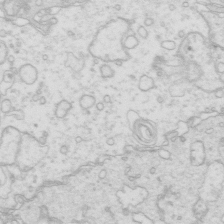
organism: Mouse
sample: Multiciliated cells